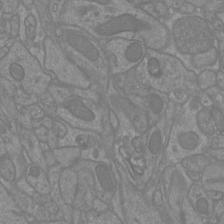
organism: Mouse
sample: Cortical neurons